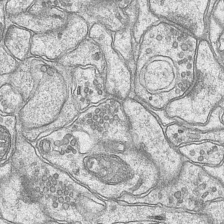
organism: Mouse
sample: CA1 Hippocampus